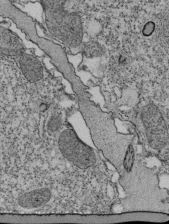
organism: Tetrahymena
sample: Cilia in tetrahymena